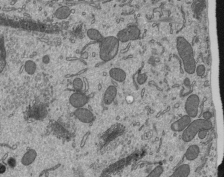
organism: Mouse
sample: Mouse epididymis efferent ductule cilia